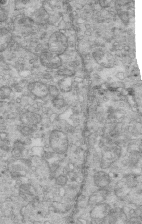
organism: Mouse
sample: Multiciliated cells